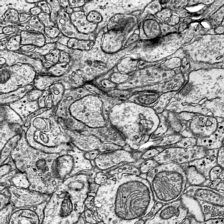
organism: Mouse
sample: Visual Cortex